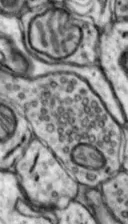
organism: Mouse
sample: Nucleus accumbens